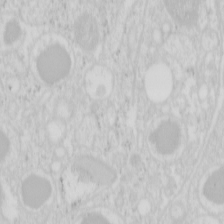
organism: Mouse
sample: Pancreas